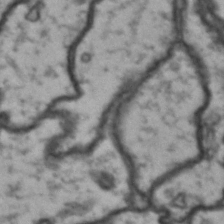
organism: Drosophila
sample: Brain